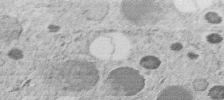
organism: C. elegans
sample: C. elegans embryo early stage